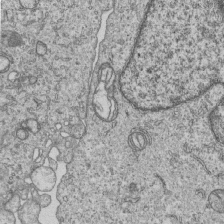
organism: Human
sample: MDA-MB-231 cells